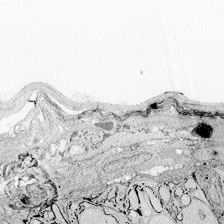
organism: Zebrafish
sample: Whole-Brain